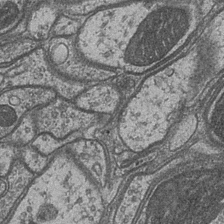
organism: Drosophila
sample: Optic medulla